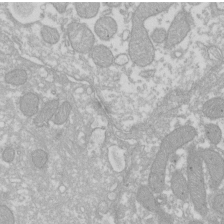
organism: Xenopus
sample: Cilia; centrioles in frog embryo cells